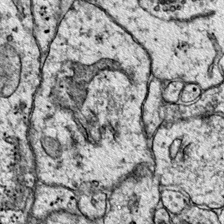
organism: Mouse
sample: Primary visual cortex